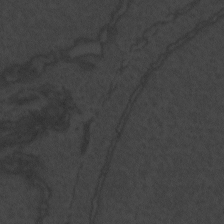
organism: Zebrafish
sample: Macrophage infected with Toxoplasma gondii